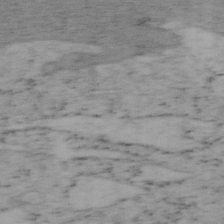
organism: Mouse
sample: OT-I killer T cells with ID8 ovarian cancer cells